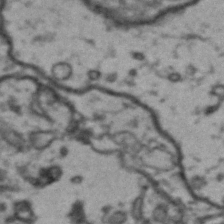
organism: Drosophila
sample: Brain